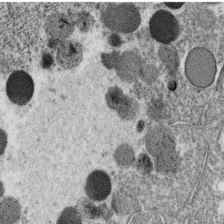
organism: C. elegans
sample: C. elegans oocyte; sperm cells